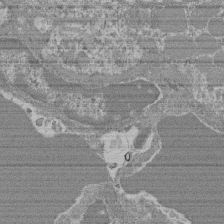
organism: Mouse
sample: Glomerulus